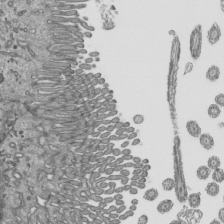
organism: Mouse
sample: Mouse epididymis efferent ductule cilia